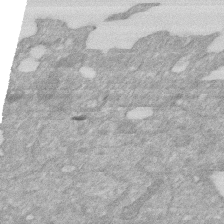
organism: Human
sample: HIV infected U937 cells